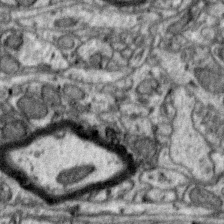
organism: Zebra finch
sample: Brain